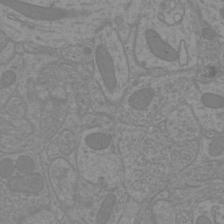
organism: Mouse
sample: Cortical neurons